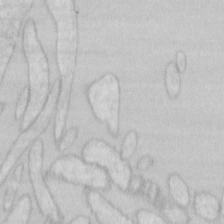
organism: Human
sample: HeLa cells